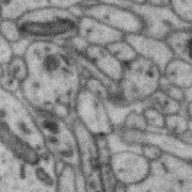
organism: Zebra finch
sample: Brain